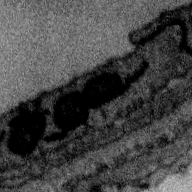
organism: Zebra finch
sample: Brain